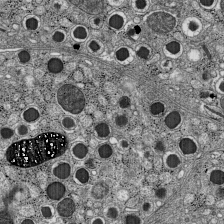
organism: C57BL Mouse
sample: Pancreatic islet